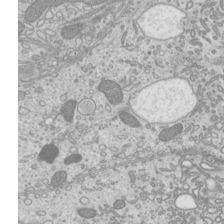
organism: Mouse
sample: Cilia; mouse epididymis